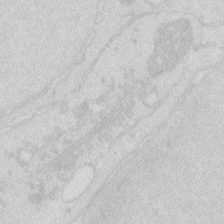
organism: Zebrafish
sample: Macrophage